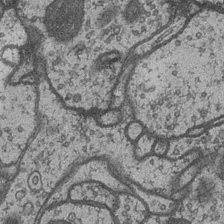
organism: Drosophila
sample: Optic medulla